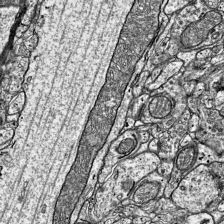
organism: Mouse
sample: Visual Cortex